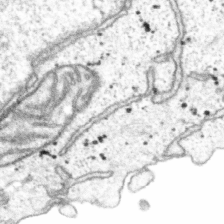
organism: Human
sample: HeLa cells